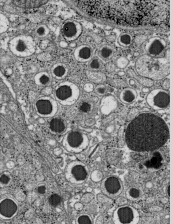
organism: C57BL Mouse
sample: Pancreatic islet